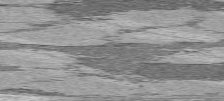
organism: C57BL Mouse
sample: Heart